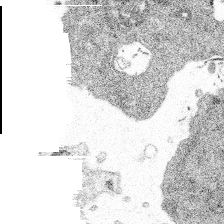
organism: Spongilla lacustris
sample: Multiple